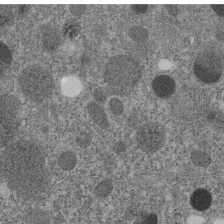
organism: C. elegans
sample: C. elegans embryo early stage